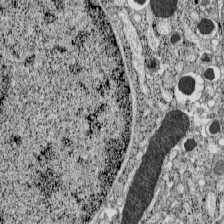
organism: C57BL Mouse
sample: Pancreatic islet